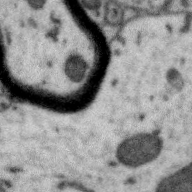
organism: Zebra finch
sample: Brain